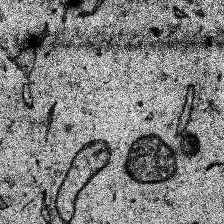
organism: Human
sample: Temporal Lobe